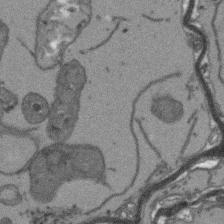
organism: Arabidopsis thaliana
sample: Root tip